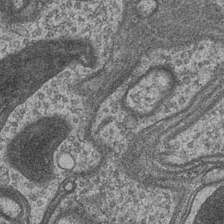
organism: Drosophila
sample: Optic medulla